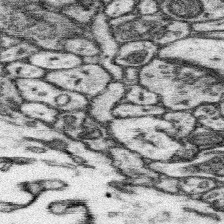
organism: Mouse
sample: Somatosensory cortex neuropil